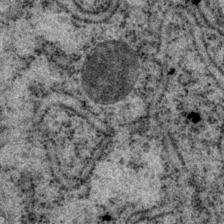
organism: P. pacificus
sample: Pharynx